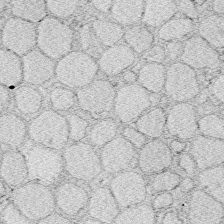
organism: Zebrafish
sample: Whole-Brain